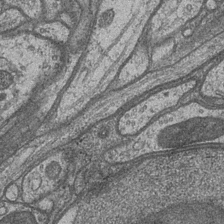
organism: Drosophila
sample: Optic medulla